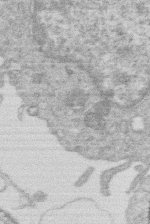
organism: Human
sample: Macrophage cells